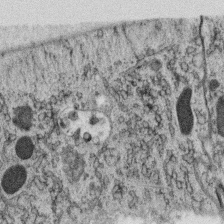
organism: C. elegans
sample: C. elegans oocyte; sperm cells